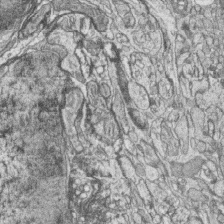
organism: Zebrafish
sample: synaptic ribbons in rod cells and cone cells